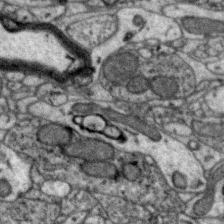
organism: Zebra finch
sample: Brain